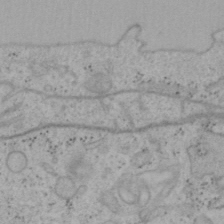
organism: Human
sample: HeLa cells